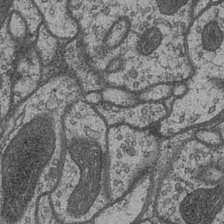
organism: Drosophila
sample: Optic medulla